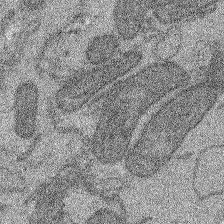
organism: Human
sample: HeLa cells